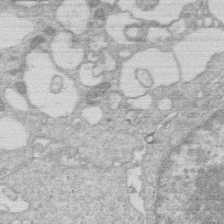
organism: Human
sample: Macrophage cells